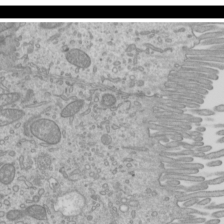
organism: Mouse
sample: Cilia; mouse epididymis